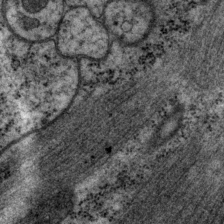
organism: P. pacificus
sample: Pharynx